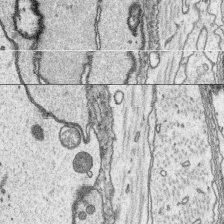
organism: Platynereis dumerilii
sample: Parapodia